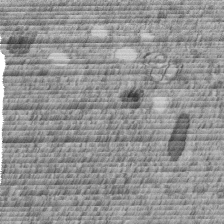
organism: C. elegans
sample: C. elegans embryo early stage